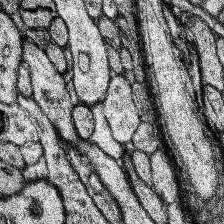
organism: Human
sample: Temporal Lobe